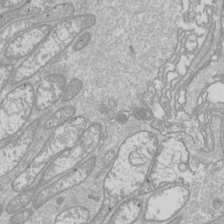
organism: Drosophila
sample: Cell division; meiosis; drosophila spermatocytes